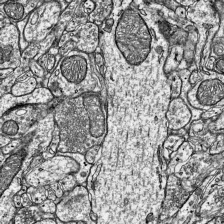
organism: Mouse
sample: Visual Cortex